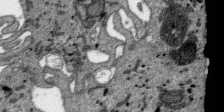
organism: Human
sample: Lung epithelial cells, uninfected (mock) control